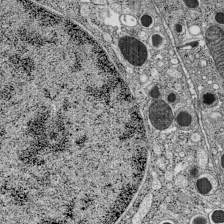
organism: C57BL Mouse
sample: Pancreatic islet